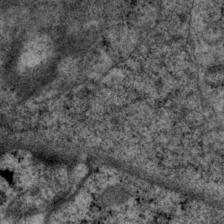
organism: P. pacificus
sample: Pharynx